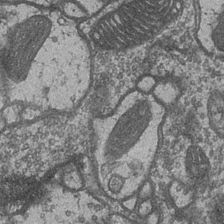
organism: Drosophila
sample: Optic medulla